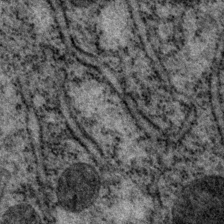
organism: P. pacificus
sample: Pharynx